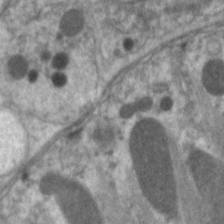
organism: C. elegans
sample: Pharynx